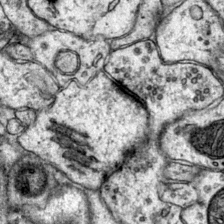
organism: Mouse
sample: Primary visual cortex